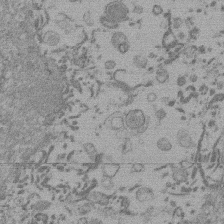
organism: Mouse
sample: Dividing mouse embryo 1 cell stage